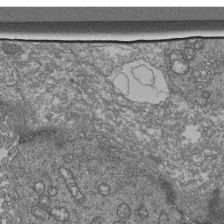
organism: Human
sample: Retinal organoid Rod and Cone cells